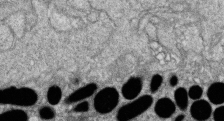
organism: Zebrafish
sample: Cilia; retinal pigment epithelium